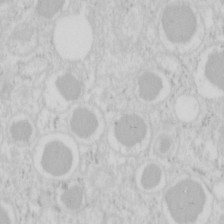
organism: Mouse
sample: Pancreas